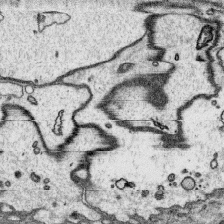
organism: Platynereis dumerilii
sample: Parapodia